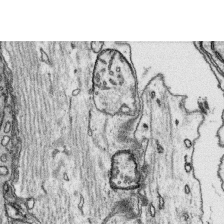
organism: Platynereis dumerilii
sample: Parapodia